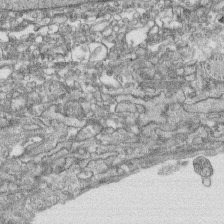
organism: Human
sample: CRL-1474